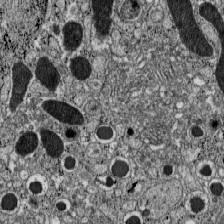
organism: C57BL Mouse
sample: Pancreatic islet